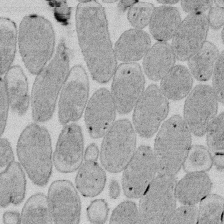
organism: E. coli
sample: Bacterial nucleoid